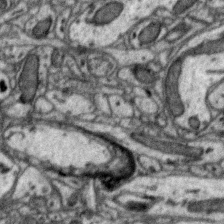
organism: Zebra finch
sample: Brain